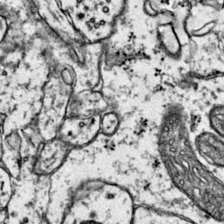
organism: Mouse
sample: Primary visual cortex